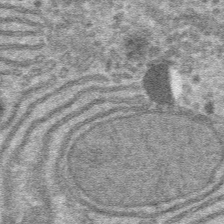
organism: Mouse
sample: Mouse hepatocytes